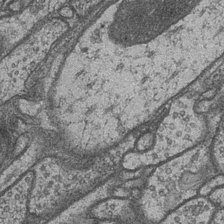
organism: Drosophila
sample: Optic medulla